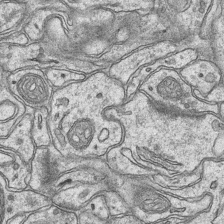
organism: Mouse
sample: CA1 Hippocampus